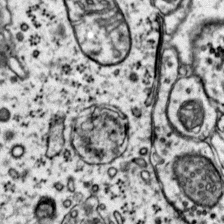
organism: Mouse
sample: Primary visual cortex